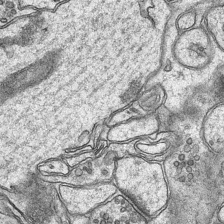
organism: Mouse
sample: CA1 Hippocampus